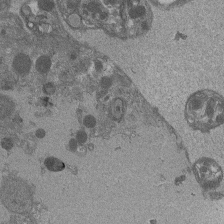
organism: Drosophila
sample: Antenna